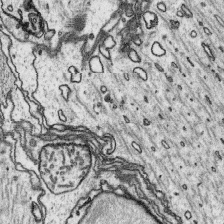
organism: Platynereis dumerilii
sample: Parapodia